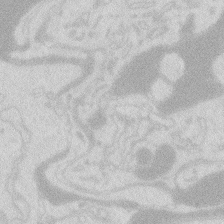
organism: Zebrafish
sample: Macrophage